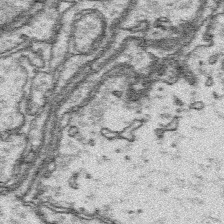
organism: Platynereis dumerilii